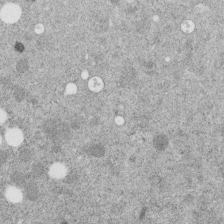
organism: C. elegans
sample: C. elegans embryo early stage